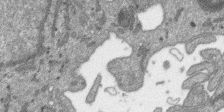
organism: Human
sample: Lung epithelial cells infected with SARS-CoV-2